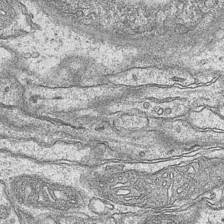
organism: Mouse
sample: CA1 Hippocampus